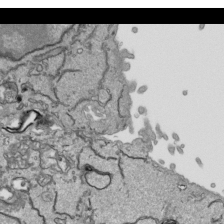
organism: Human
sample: Mitochondria in HCT116 cells